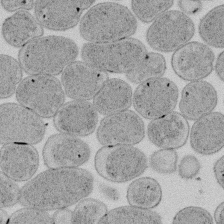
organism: E. coli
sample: Bacterial nucleoid